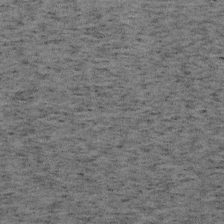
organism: Mouse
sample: OT-I killer T cells with ID8 ovarian cancer cells